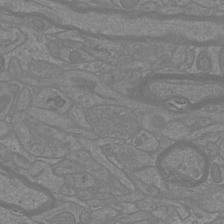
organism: Mouse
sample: Cortical neurons